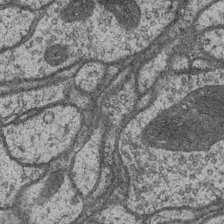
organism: Drosophila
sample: Optic medulla